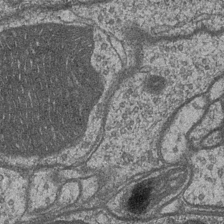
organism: Drosophila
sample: Optic medulla